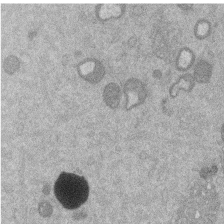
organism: Mouse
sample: Dividing mouse embryo 1 cell stage